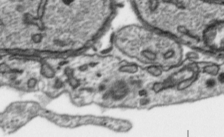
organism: Toxoplasma gondii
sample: Parasites in a vacuole inside a host cell